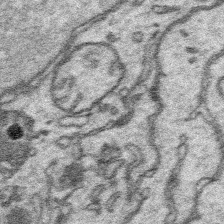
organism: Platynereis dumerilii